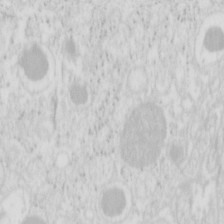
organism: Mouse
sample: Pancreas